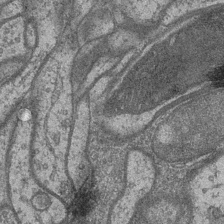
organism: Drosophila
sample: Optic medulla